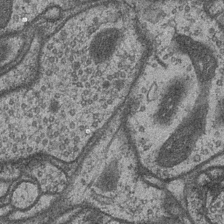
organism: Drosophila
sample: Optic medulla